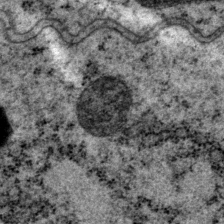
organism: P. pacificus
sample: Pharynx